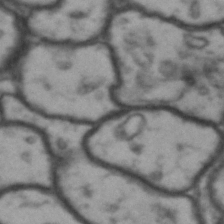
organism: Drosophila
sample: Brain